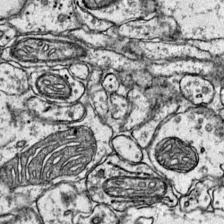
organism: Mouse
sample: Primary visual cortex